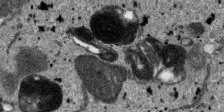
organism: Human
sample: Lung epithelial cells, uninfected (mock) control